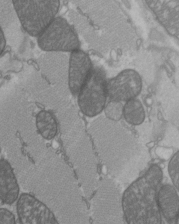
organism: C57BL Mouse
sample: Heart